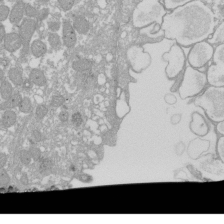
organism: Xenopus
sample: Cilia; centrioles in frog embryo cells